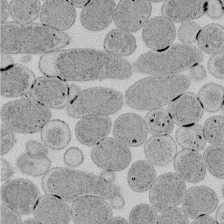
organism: E. coli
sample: Bacterial nucleoid